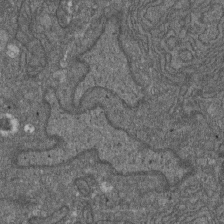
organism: Drosophila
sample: Nephrocyte